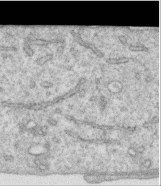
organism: Human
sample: Centriole in RPE cells